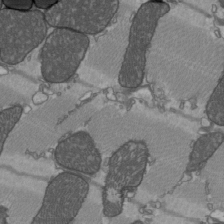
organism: C57BL Mouse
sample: Heart